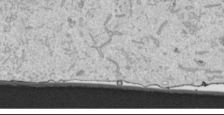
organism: Human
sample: Mitochondria in HCT116 cells